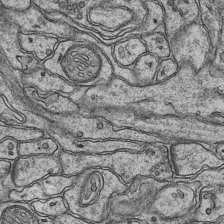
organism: Mouse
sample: CA1 Hippocampus